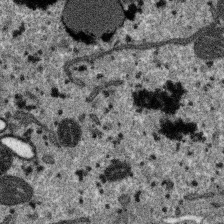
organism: Human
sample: Lung epithelial cells infected with SARS-CoV-2